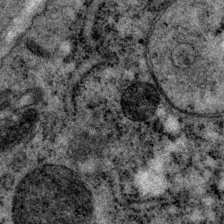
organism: P. pacificus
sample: Pharynx